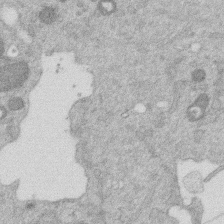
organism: Mouse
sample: Dividing mouse embryo 1 cell stage